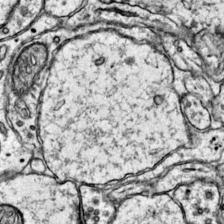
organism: Mouse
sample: Primary visual cortex